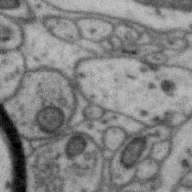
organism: Zebra finch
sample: Brain